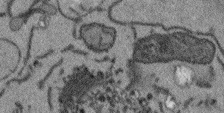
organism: Arabidopsis thaliana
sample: Root tip